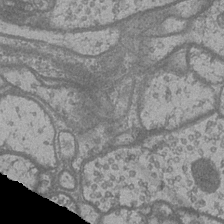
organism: Drosophila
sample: Optic medulla